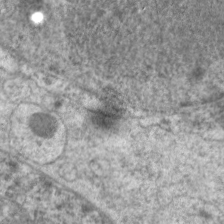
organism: C. elegans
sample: Pharynx